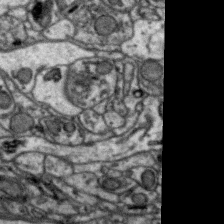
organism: Zebra finch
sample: Brain